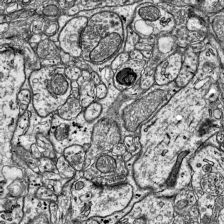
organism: Mouse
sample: Visual Cortex